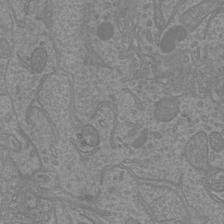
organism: Mouse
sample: Cortical neurons